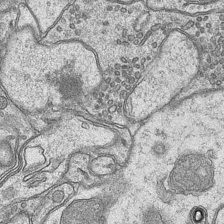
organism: Mouse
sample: CA1 Hippocampus